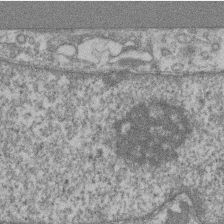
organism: Mouse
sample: T cell stromal cell synapse